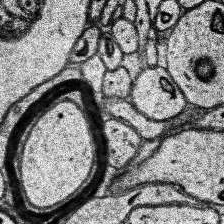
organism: Human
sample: Temporal Lobe